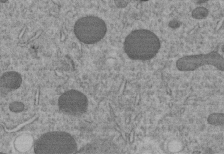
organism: C. elegans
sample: C. elegans embryo early stage